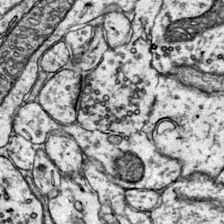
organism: Mouse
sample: Primary visual cortex